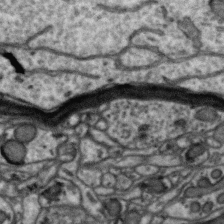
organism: Zebra finch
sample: Brain